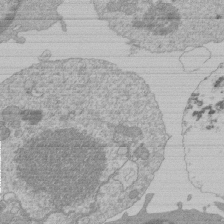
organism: Mouse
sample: Activated Pmel transgenic CD8+ T Cells